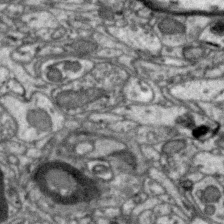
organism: Zebra finch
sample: Brain